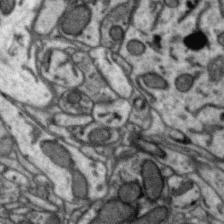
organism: Zebra finch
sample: Brain